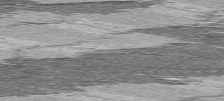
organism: C57BL Mouse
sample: Heart